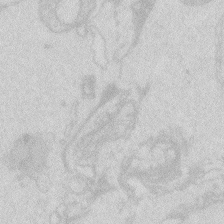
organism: Zebrafish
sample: Macrophage